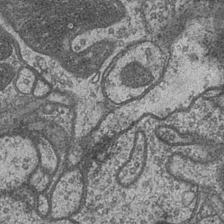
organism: Drosophila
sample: Optic medulla